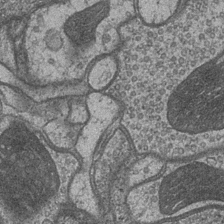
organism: Drosophila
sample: Optic medulla